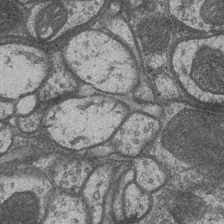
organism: Drosophila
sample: Optic medulla